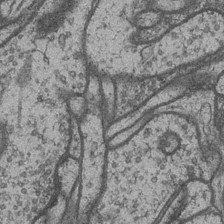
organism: Drosophila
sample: Optic medulla